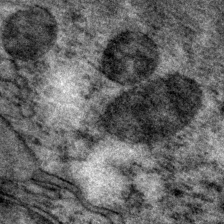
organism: P. pacificus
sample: Pharynx